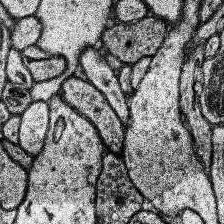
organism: Human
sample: Temporal Lobe